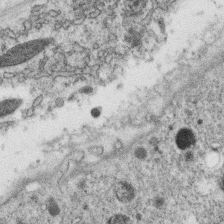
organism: C. elegans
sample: C. elegans oocyte; sperm cells